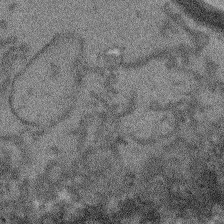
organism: Arabidopsis thaliana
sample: Root tip